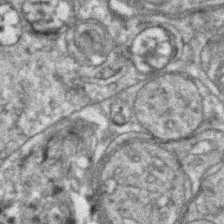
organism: Zebrafish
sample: Zebrafish embryo